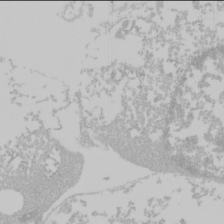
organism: Mouse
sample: Cancer cell death in ED-1 cells